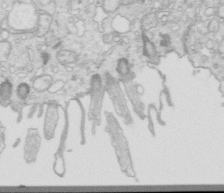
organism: Mouse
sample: Multiciliated cells